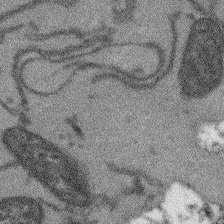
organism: Arabidopsis thaliana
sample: Root tip